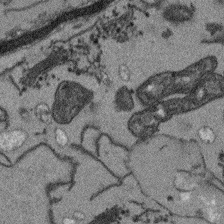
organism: Arabidopsis thaliana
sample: Root tip